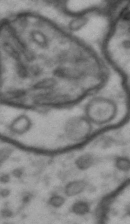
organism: Drosophila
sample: Brain